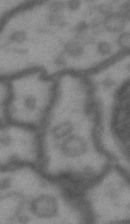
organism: Drosophila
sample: Brain